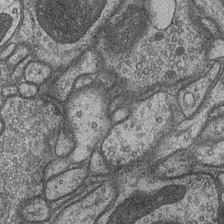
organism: Drosophila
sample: Optic medulla